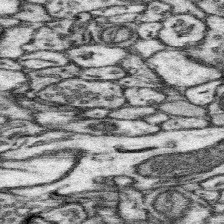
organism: Mouse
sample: Somatosensory cortex neuropil